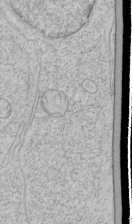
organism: Human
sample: Mitochondria in HCT116 cells